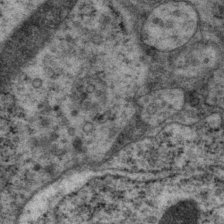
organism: P. pacificus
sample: Pharynx